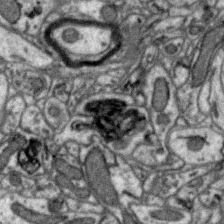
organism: Zebra finch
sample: Brain